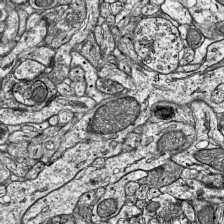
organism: Mouse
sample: Visual Cortex